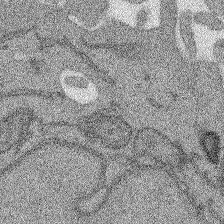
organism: Human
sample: HeLa cells